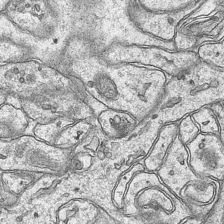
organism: Mouse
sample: CA1 Hippocampus